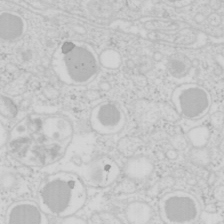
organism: Mouse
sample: Pancreas